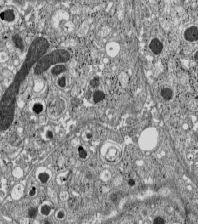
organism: C57BL Mouse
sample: Pancreatic islet